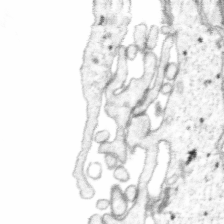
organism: Human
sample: HeLa cells